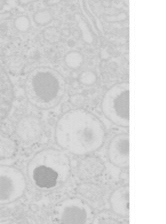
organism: Mouse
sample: Pancreas